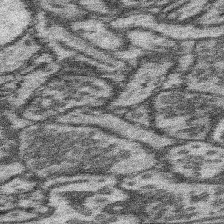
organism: Mouse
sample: Somatosensory cortex neuropil